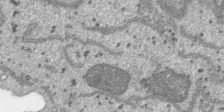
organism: Human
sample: Lung epithelial cells infected with SARS-CoV-2